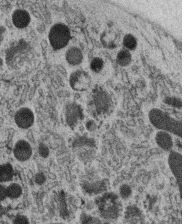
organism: C. elegans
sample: C. elegans oocyte; sperm cells